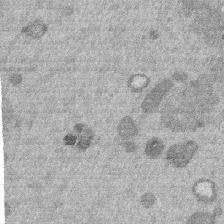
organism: Mouse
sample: Dividing mouse embryo 1 cell stage